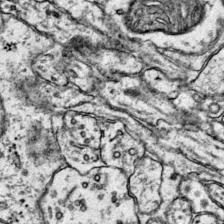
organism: Mouse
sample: Primary visual cortex